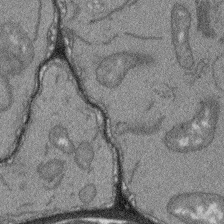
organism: Arabidopsis thaliana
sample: Root tip